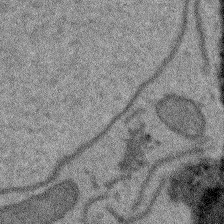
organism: Arabidopsis thaliana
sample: Root tip